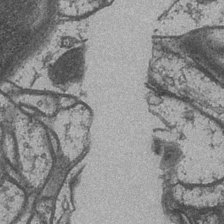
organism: Drosophila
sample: Optic medulla